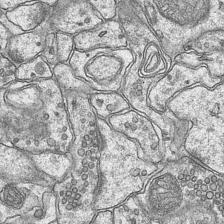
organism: Mouse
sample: CA1 Hippocampus